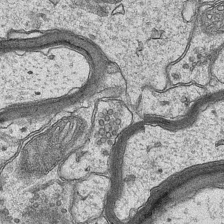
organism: Mouse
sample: CA1 Hippocampus